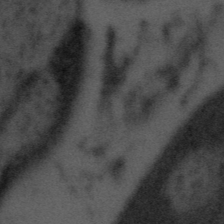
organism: Tuwongella immobilis